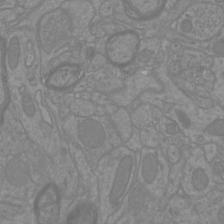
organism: Mouse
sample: Cortical neurons